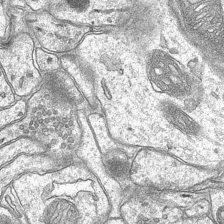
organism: Mouse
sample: CA1 Hippocampus